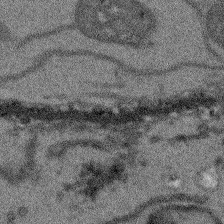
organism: Arabidopsis thaliana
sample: Root tip